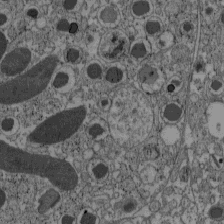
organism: C57BL Mouse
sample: Pancreatic islet